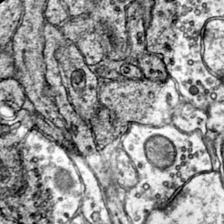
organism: Mouse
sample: Primary visual cortex